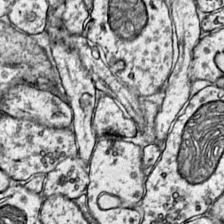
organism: Mouse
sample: Primary visual cortex